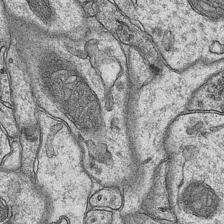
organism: Mouse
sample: CA1 Hippocampus